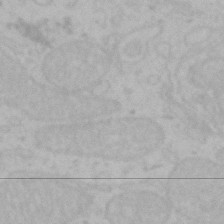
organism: Mouse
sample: Choroid plexus